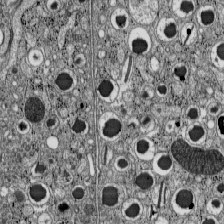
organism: C57BL Mouse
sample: Pancreatic islet